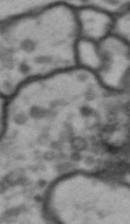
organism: Drosophila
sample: Brain